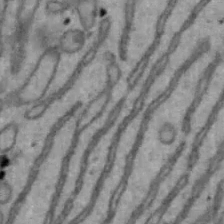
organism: Mouse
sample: Liver